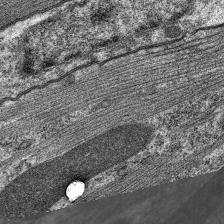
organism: C. elegans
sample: Pharynx